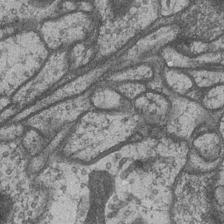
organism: Drosophila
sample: Optic medulla